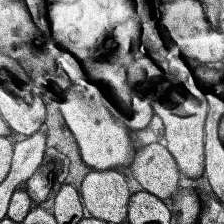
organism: Human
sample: Temporal Lobe